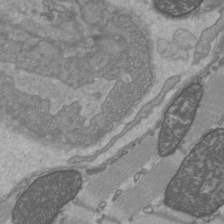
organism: C57BL Mouse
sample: Heart